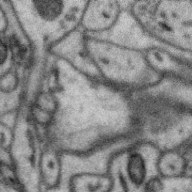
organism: Zebra finch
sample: Brain